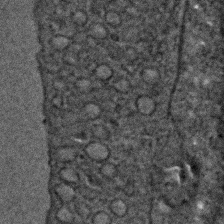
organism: C. elegans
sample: C. elegans embryo